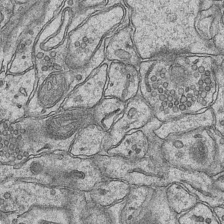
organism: Mouse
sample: CA1 Hippocampus